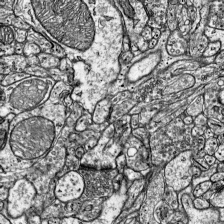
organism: Mouse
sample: Visual Cortex